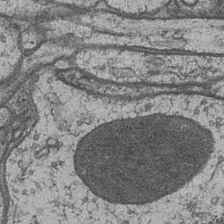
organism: Drosophila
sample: Optic medulla